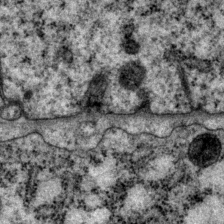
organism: P. pacificus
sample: Pharynx